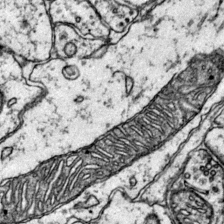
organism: Mouse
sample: Primary visual cortex